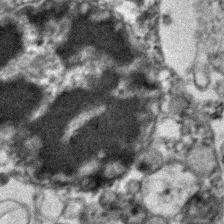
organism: Human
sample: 1205lu cells